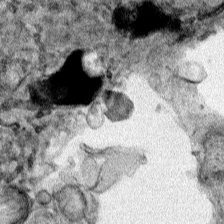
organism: Human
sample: Mitochondria in HCT116 cells